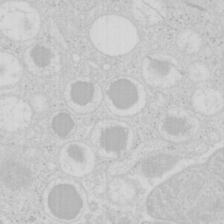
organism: Mouse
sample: Pancreas